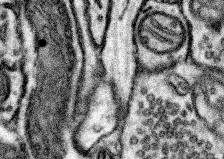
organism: Mouse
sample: Somatosensory cortex neuropil